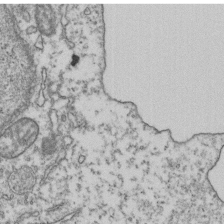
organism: Human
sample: Activated Jurkat CD4+ T cells